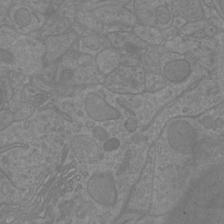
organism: Mouse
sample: Cortical neurons